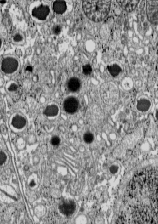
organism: C57BL Mouse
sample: Pancreatic islet